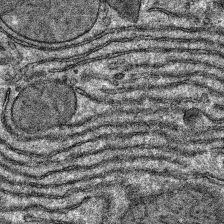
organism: Mouse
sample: Mouse hepatocytes